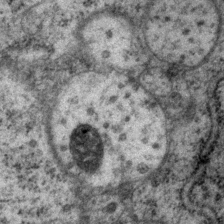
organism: P. pacificus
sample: Pharynx